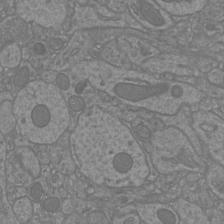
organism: Mouse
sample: Cortical neurons